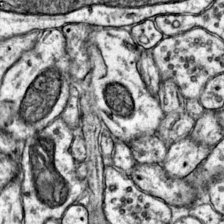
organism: Mouse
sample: Primary visual cortex